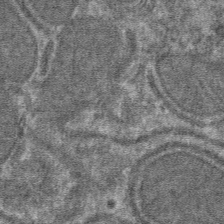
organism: Mouse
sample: Mouse hepatocytes